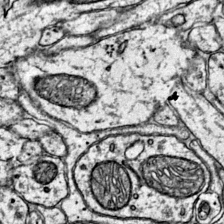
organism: Mouse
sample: Primary visual cortex